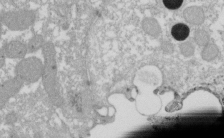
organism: Xenopus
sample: Cilia; centrioles in frog embryo cells